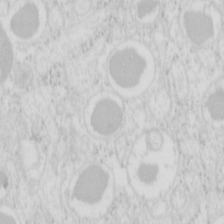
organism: Mouse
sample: Pancreas